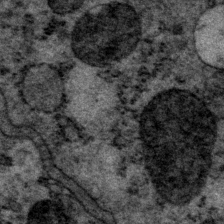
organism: P. pacificus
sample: Pharynx